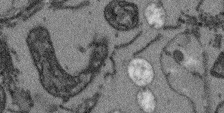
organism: Arabidopsis thaliana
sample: Root tip